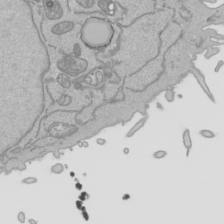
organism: Human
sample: Mitochondria in HCT116 cells